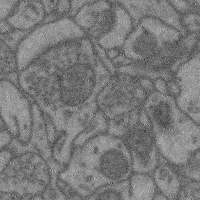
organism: Mouse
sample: Cerebral cortex